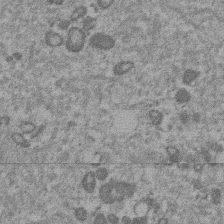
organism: Mouse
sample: Dividing mouse embryo 1 cell stage